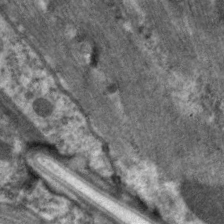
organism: C. elegans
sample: Pharynx